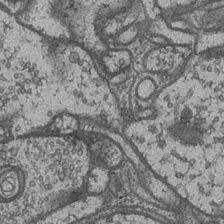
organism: Drosophila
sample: Optic medulla